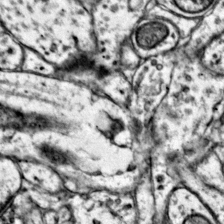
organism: Mouse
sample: Primary visual cortex